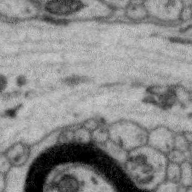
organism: Zebra finch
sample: Brain